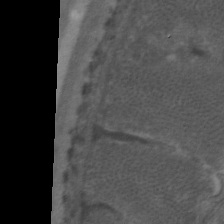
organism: C. elegans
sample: Pharynx